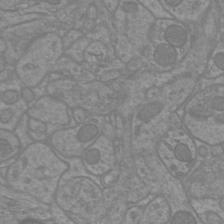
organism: Mouse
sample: Cortical neurons